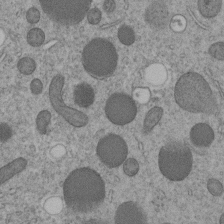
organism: C. elegans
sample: C. elegans embryo early stage